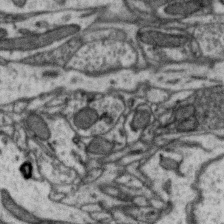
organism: Zebra finch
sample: Brain